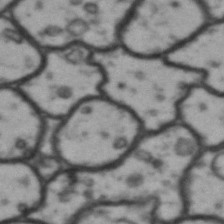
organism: Drosophila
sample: Brain